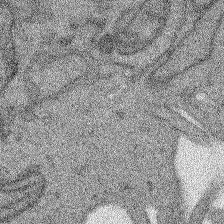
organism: Human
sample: HeLa cells